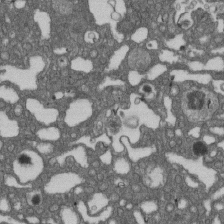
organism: Drosophila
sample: Nephrocyte